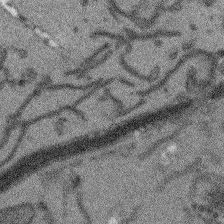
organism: Arabidopsis thaliana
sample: Root tip